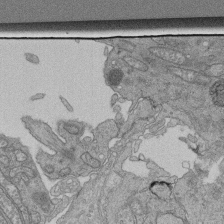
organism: Human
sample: Retinal organoid Rod and Cone cells